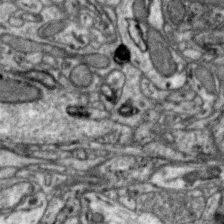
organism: Zebra finch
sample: Brain